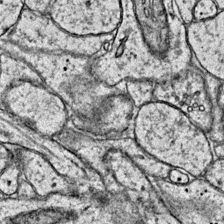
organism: Mouse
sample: Primary visual cortex